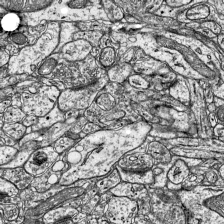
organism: Mouse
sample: Visual Cortex